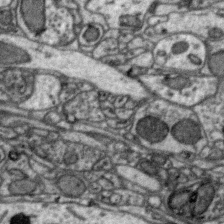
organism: Zebra finch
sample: Brain